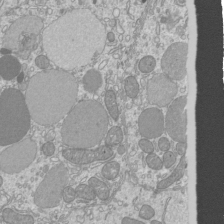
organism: Mouse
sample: Cilia; mouse epididymis